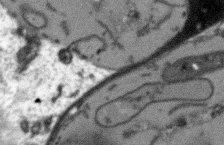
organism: Arabidopsis thaliana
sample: Root tip